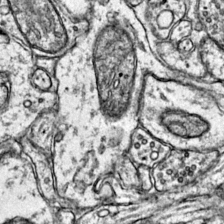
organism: Mouse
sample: Primary visual cortex